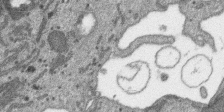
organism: Human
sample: Lung epithelial cells infected with SARS-CoV-2